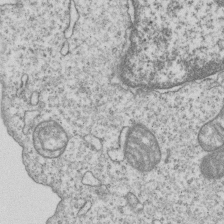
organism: Human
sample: MDA-MB-231 cells